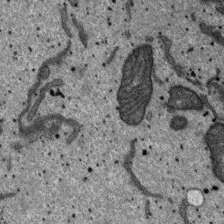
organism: Human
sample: Lung epithelial cells, uninfected (mock) control